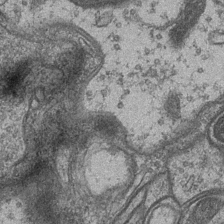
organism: Drosophila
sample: Optic medulla